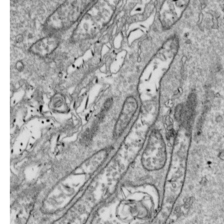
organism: Drosophila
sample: Cell division; meiosis; drosophila spermatocytes